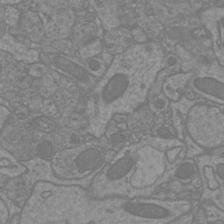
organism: Mouse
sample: Cortical neurons